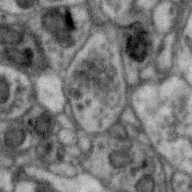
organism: Zebra finch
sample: Brain